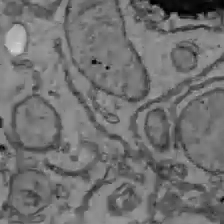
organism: C57BL Mouse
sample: Liver